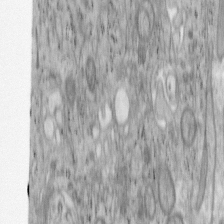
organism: Human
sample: HeLa cells